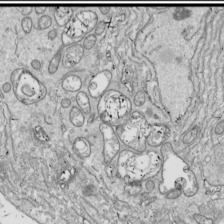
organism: Drosophila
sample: Cell division; meiosis; drosophila spermatocytes